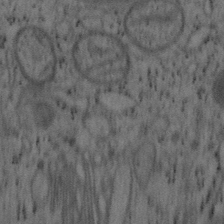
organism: Human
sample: HeLa cells